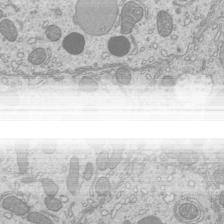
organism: Mouse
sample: Cilia; mouse epididymis